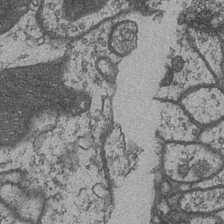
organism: Drosophila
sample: Optic medulla